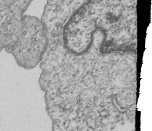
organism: Human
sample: MDA-MB-231 cells